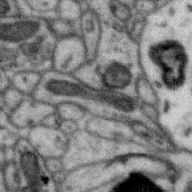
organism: Zebra finch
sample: Brain